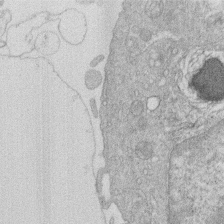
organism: Human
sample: Macrophage cells